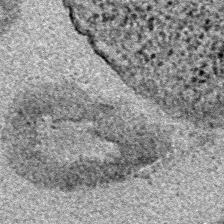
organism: E. coli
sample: E. Coli Bacteria